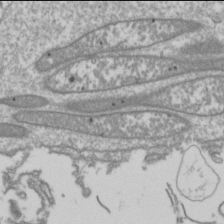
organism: Drosophila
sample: Cell division; meiosis; drosophila spermatocytes